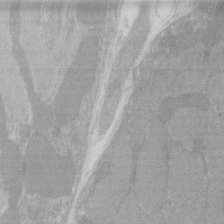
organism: C57BL Mouse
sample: Tibialis anterior muscle cell